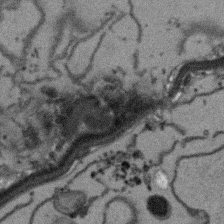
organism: Arabidopsis thaliana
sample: Root tip